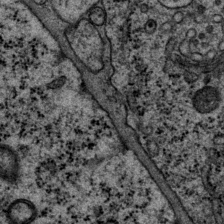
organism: P. pacificus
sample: Pharynx